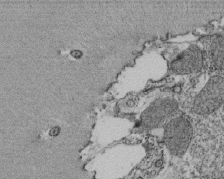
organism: Tetrahymena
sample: Cilia in tetrahymena